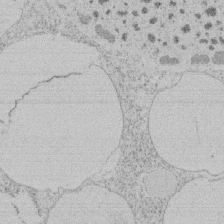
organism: Tetrahymena